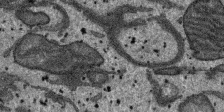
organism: Human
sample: Lung epithelial cells, uninfected (mock) control